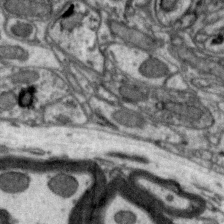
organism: Zebra finch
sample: Brain